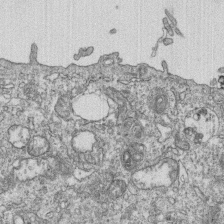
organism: Human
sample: HeLa cell HIV synapse